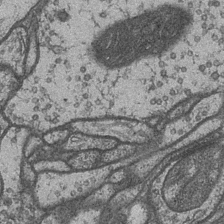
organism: Drosophila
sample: Optic medulla